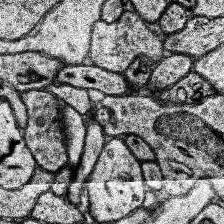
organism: Human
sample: Temporal Lobe